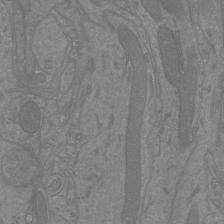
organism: Mouse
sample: Cortical neurons